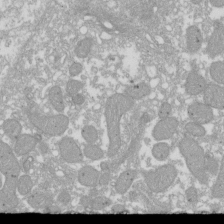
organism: Xenopus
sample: Cilia; centrioles in frog embryo cells